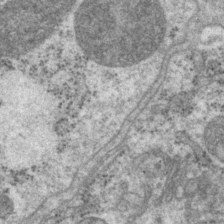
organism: P. pacificus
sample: Pharynx